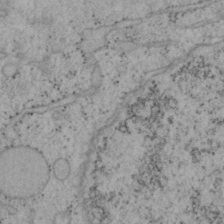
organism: Human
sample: HeLa cells